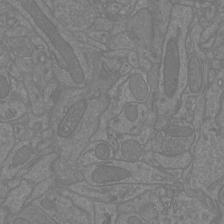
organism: Mouse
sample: Cortical neurons